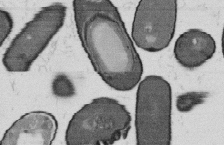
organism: B. subtilis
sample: Bacterial spore